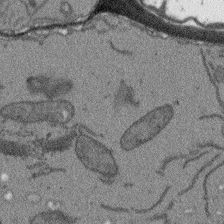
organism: Arabidopsis thaliana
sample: Root tip